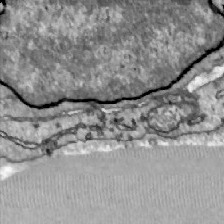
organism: Zebrafish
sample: Actinotrichia fibers